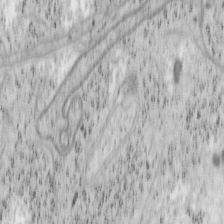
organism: Human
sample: HeLa cells